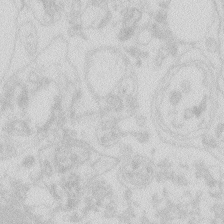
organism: Zebrafish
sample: Macrophage